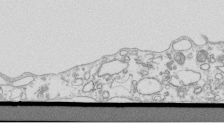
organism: Mouse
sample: Macrophages